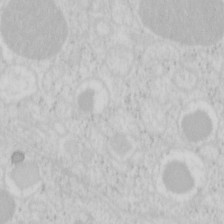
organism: Mouse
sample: Pancreas